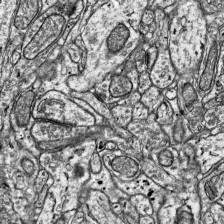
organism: Mouse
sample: Visual Cortex